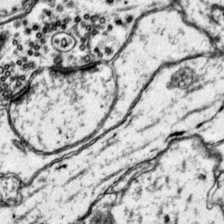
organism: Mouse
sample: Primary visual cortex